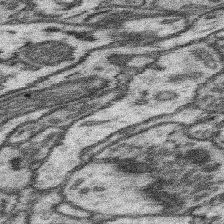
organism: Mouse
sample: Somatosensory cortex neuropil